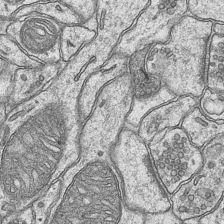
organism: Mouse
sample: CA1 Hippocampus